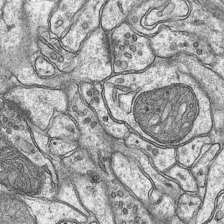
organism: Mouse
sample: CA1 Hippocampus